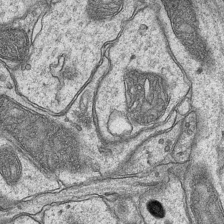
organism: Mouse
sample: CA1 Hippocampus